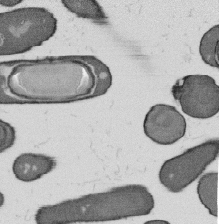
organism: B. subtilis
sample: Bacterial spore